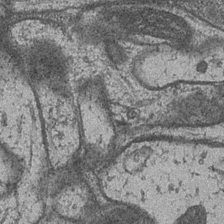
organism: Drosophila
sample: Optic medulla